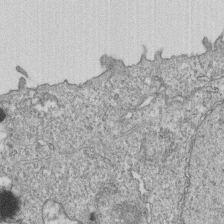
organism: Human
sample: HeLa cell HIV synapse